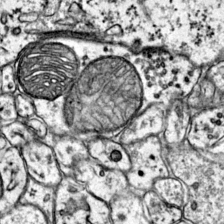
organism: Mouse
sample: Primary visual cortex